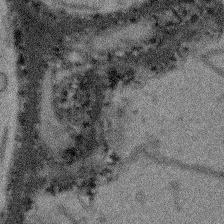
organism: Arabidopsis thaliana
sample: Root tip